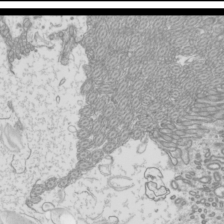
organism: Mouse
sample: Cilia; mouse epididymis